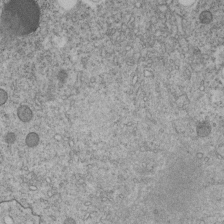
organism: C. elegans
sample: C. elegans embryo early stage